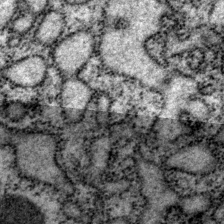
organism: P. pacificus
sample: Pharynx